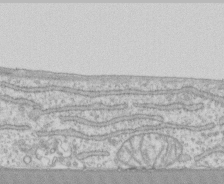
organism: Human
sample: CRL-1474